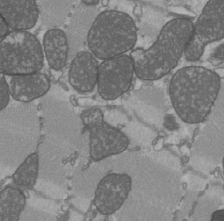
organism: C57BL Mouse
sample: Heart